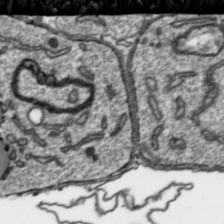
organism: Toxoplasma gondii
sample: Parasites in a vacuole inside a host cell